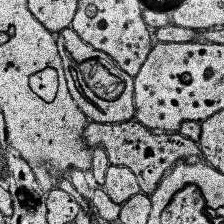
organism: Human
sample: Temporal Lobe